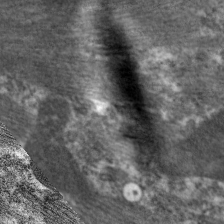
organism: C. elegans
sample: Pharynx